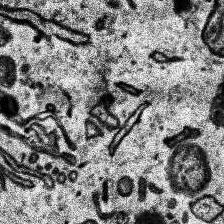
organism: Human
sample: Temporal Lobe